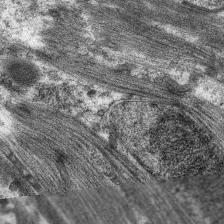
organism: C. elegans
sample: Pharynx